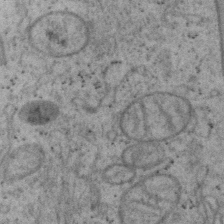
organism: Human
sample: HeLa cells